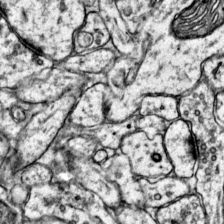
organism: Mouse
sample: Primary visual cortex